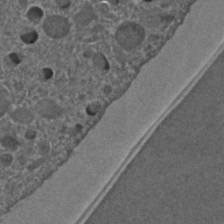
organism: C. elegans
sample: C. elegans embryo